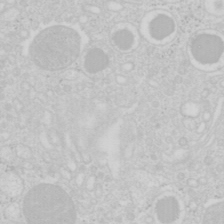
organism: Mouse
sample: Pancreas